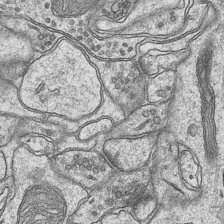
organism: Mouse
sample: CA1 Hippocampus